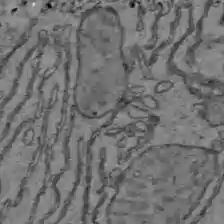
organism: C57BL Mouse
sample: Liver